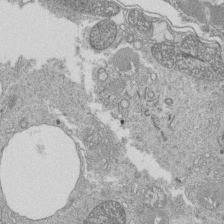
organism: Tetrahymena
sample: Cilia in tetrahymena